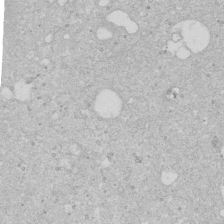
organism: Human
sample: Caco-2 cells